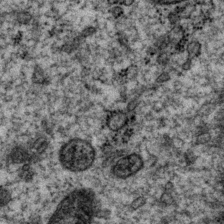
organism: P. pacificus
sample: Pharynx